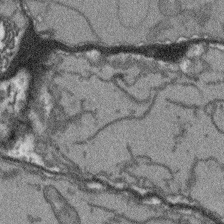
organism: Arabidopsis thaliana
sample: Root tip